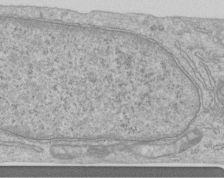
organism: Human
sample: Centriole in RPE cells